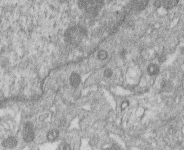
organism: Human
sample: Macrophage cells